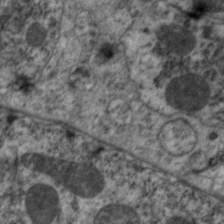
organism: C. elegans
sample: Pharynx